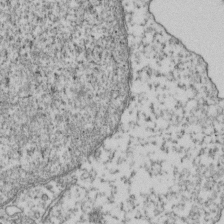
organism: Human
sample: Activated Jurkat CD4+ T cells